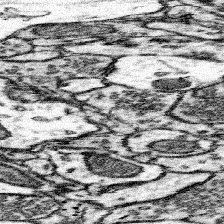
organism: Mouse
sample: Somatosensory cortex neuropil